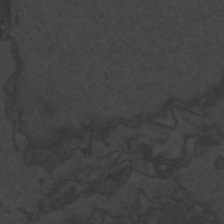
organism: Zebrafish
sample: Macrophage infected with Toxoplasma gondii